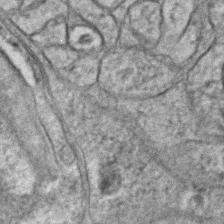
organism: C. elegans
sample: C. elegans embryo